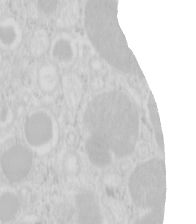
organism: Mouse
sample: Pancreas